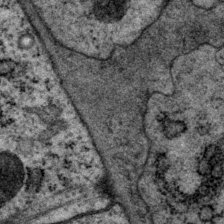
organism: P. pacificus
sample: Pharynx